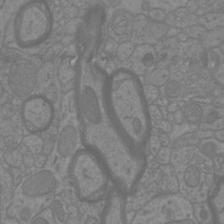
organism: Mouse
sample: Cortical neurons